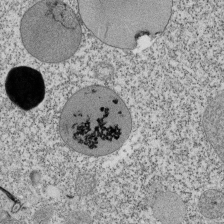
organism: Tetrahymena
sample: Cilia in tetrahymena